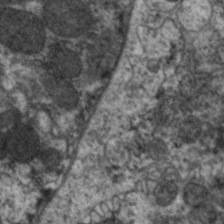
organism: C. elegans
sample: Pharynx